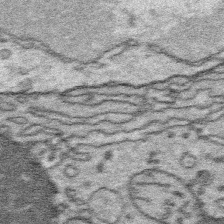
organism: Platynereis dumerilii